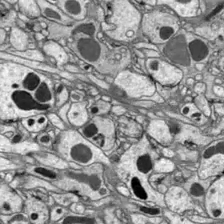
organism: Drosophila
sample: Optic lobe